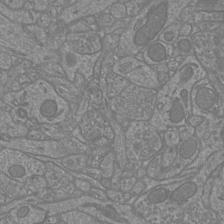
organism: Mouse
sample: Cortical neurons